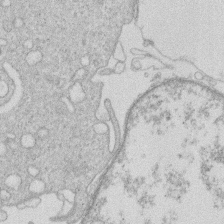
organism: Human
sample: Macrophage cells